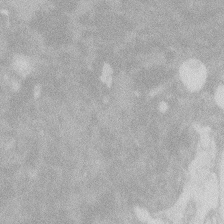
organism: Zebrafish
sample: Macrophage